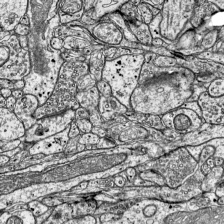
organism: Mouse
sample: Visual Cortex